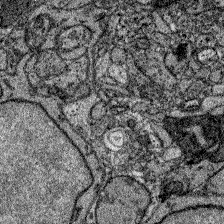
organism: Zebrafish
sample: Larval olfactory bulb